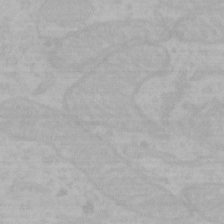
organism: Mouse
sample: Choroid plexus